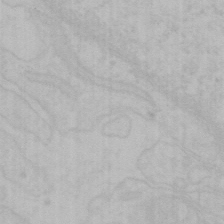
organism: Mouse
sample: Choroid plexus